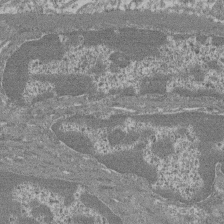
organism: Mouse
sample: Glomerulus